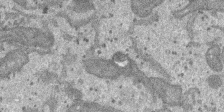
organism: Human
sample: Lung epithelial cells infected with SARS-CoV-2